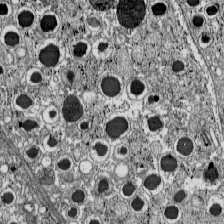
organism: C57BL Mouse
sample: Pancreatic islet